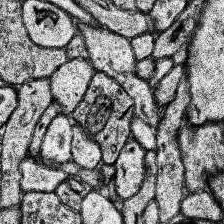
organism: Human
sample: Temporal Lobe